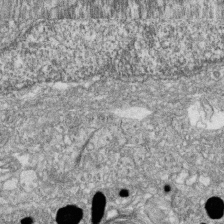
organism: Zebrafish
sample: Cilia; retinal pigment epithelium